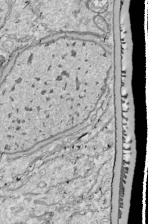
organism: Drosophila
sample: Cell division; meiosis; drosophila spermatocytes